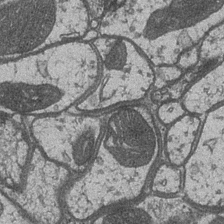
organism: Drosophila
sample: Optic medulla